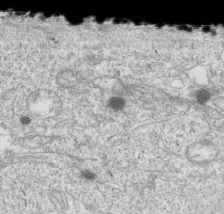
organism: Human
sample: HeLa cell HIV synapse